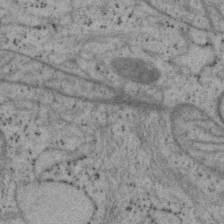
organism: Human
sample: HeLa cells